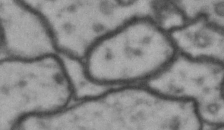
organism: Drosophila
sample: Brain